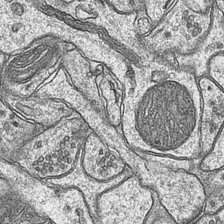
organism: Mouse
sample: CA1 Hippocampus